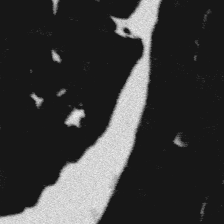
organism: Platynereis dumerilii